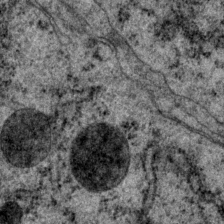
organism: P. pacificus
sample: Pharynx